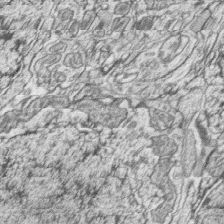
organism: Zebrafish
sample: synaptic ribbons in rod cells and cone cells